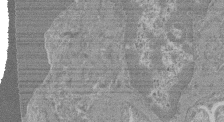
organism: Mouse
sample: Glomerulus